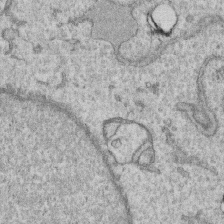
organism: Human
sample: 1205lu cells